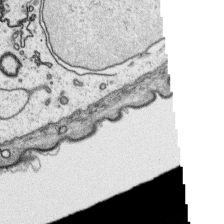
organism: Platynereis dumerilii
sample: Parapodia